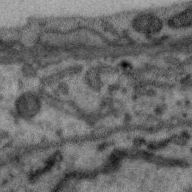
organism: Zebra finch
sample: Brain